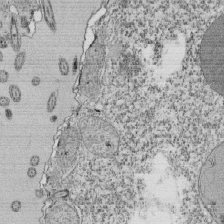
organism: Tetrahymena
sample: Cilia in tetrahymena